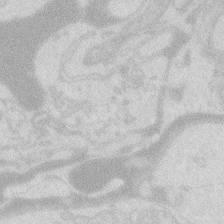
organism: Zebrafish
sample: Macrophage